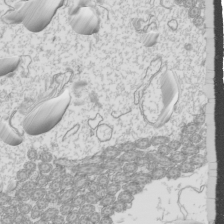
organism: Mouse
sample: Cilia; mouse epididymis